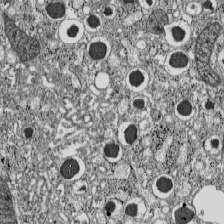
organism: C57BL Mouse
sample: Pancreatic islet